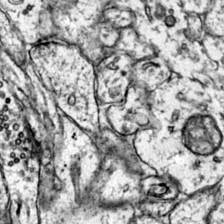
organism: Mouse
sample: Primary visual cortex